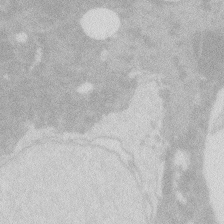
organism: Zebrafish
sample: Macrophage